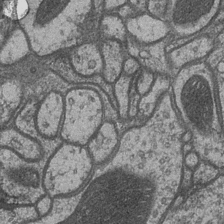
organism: Drosophila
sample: Optic medulla